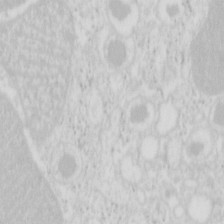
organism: Mouse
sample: Pancreas